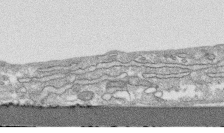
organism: Human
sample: CRL-1474